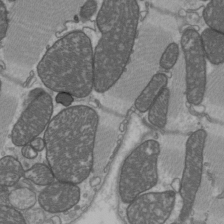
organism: C57BL Mouse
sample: Heart